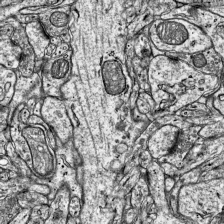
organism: Mouse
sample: Visual Cortex